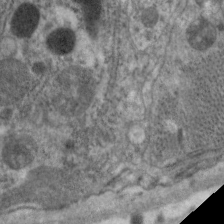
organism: C. elegans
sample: Pharynx